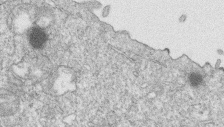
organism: Human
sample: HeLa cell HIV synapse